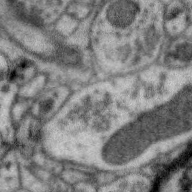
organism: Zebra finch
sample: Brain